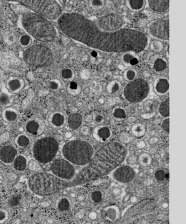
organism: C57BL Mouse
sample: Pancreatic islet